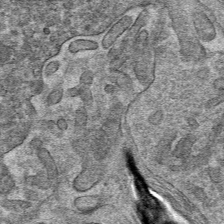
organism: Mouse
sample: Mouse hepatocytes